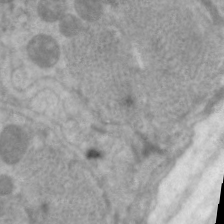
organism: C. elegans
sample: Pharynx